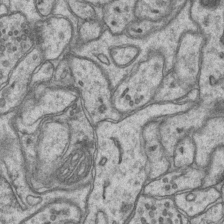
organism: Mouse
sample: CA1 Hippocampus